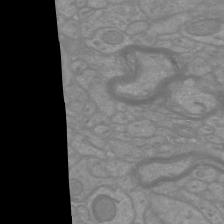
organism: Mouse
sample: Cortical neurons